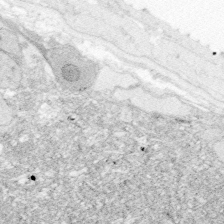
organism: Zebrafish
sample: Whole-Brain